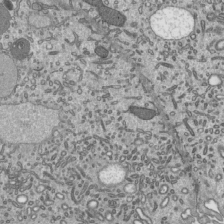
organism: Mouse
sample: Mouse epididymis efferent ductule cilia